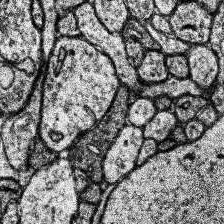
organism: Human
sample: Temporal Lobe